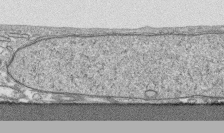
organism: Human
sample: CRL-1474